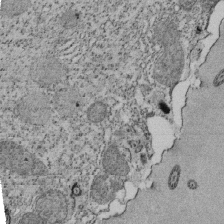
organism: Tetrahymena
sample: Cilia in tetrahymena